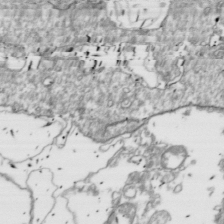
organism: Drosophila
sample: Cell division; meiosis; drosophila spermatocytes